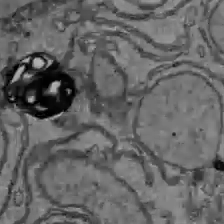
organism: C57BL Mouse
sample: Liver